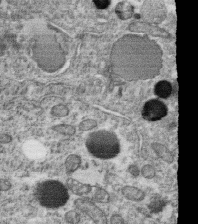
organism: C. elegans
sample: C. elegans oocyte; sperm cells